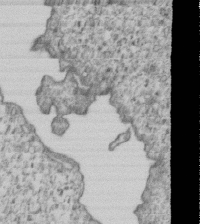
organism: Human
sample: MDA-MB-231 cells